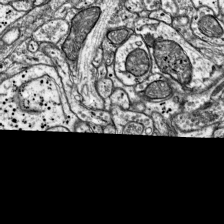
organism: Mouse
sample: Visual Cortex